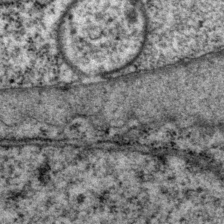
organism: P. pacificus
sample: Pharynx